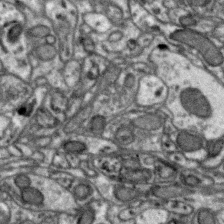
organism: Zebra finch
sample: Brain